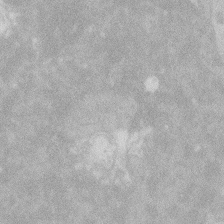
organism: Zebrafish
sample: Macrophage